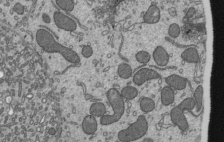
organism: Mouse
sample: Mouse epididymis efferent ductule cilia